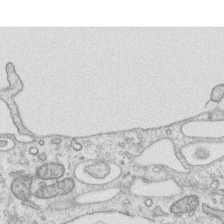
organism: Human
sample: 1205lu cells